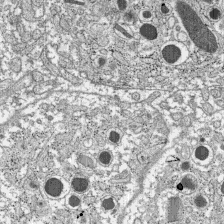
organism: C57BL Mouse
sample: Pancreatic islet